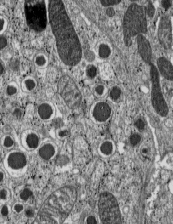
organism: C57BL Mouse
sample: Pancreatic islet